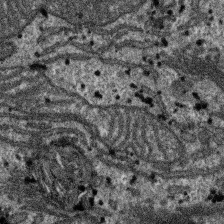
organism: Human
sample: Lung epithelial cells infected with SARS-CoV-2